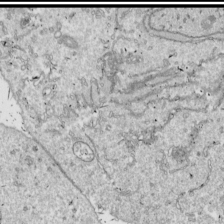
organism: Drosophila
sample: Cell division; meiosis; drosophila spermatocytes